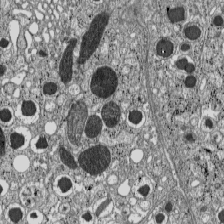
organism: C57BL Mouse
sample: Pancreatic islet